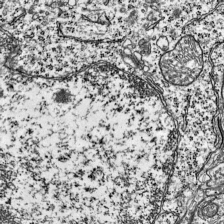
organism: Mouse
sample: Visual Cortex